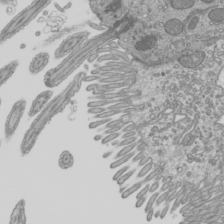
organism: Mouse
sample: Cilia; mouse epididymis